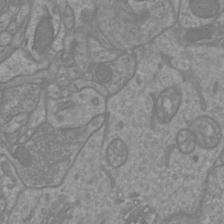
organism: Mouse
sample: Cortical neurons